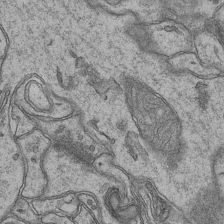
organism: Mouse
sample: CA1 Hippocampus